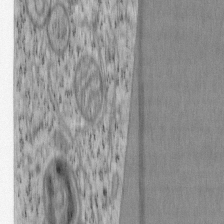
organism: Human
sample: HeLa cells